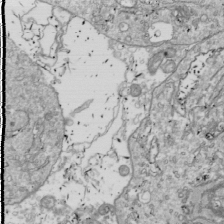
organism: Drosophila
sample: Cell division; meiosis; drosophila spermatocytes